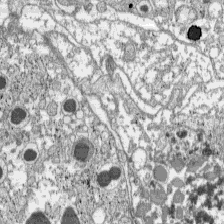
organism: C57BL Mouse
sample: Pancreatic islet